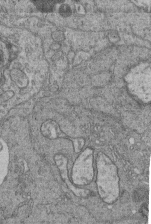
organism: Human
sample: Retinal organoid Rod and Cone cells